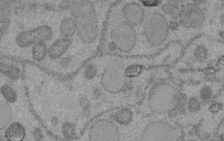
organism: C. elegans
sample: C. elegans embryo early stage